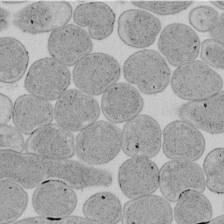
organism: E. coli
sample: Bacterial nucleoid